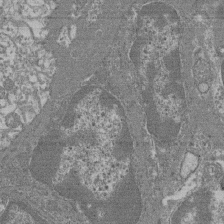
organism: Mouse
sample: Glomerulus